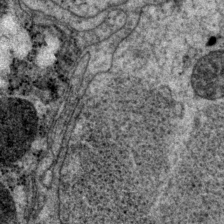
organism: P. pacificus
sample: Pharynx